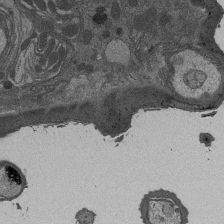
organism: Drosophila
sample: Antenna